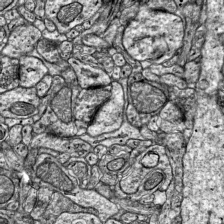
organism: Mouse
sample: Visual Cortex